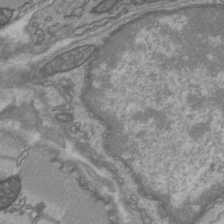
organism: C57BL Mouse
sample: Heart